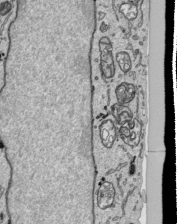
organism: Human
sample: Mitochondria in HCT116 cells